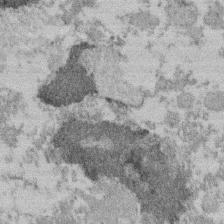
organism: Mouse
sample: Dividing mouse embryo 1 cell stage